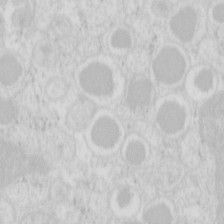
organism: Mouse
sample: Pancreas